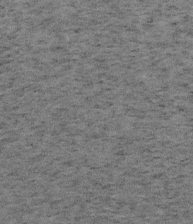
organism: Mouse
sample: OT-I killer T cells with ID8 ovarian cancer cells